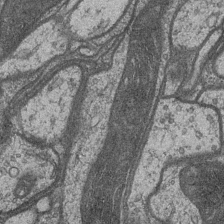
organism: Drosophila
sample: Optic medulla